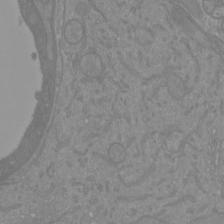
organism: Mouse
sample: Cortical neurons